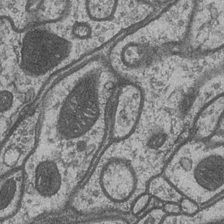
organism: Drosophila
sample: Optic medulla